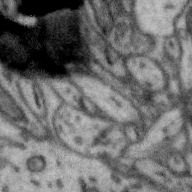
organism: Zebra finch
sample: Brain